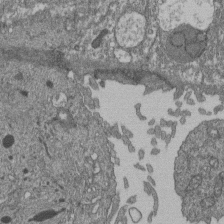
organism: Human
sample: Retinal organoid Rod and Cone cells